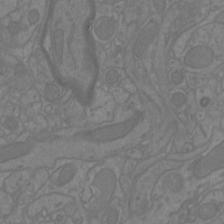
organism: Mouse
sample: Cortical neurons